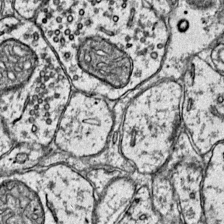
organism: Mouse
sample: Primary visual cortex